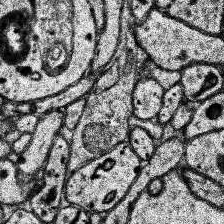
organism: Human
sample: Temporal Lobe